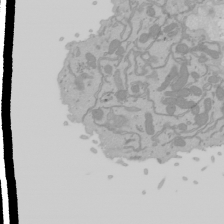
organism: Mouse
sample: Cancer cell death in ED-1 cells